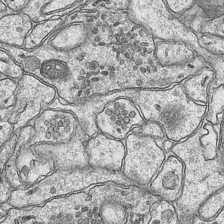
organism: Mouse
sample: CA1 Hippocampus